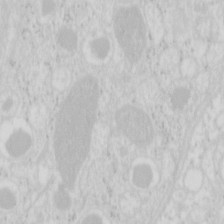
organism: Mouse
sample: Pancreas